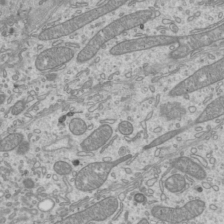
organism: Mouse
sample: Cilia; mouse epididymis